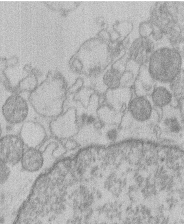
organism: Human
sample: Macrophage cells